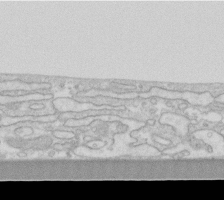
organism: Human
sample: Fibroblast cells